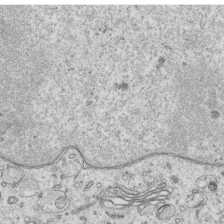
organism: Human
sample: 1205lu cells